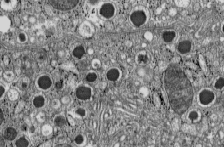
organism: C57BL Mouse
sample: Pancreatic islet